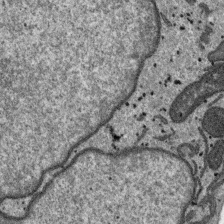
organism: Human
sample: Lung epithelial cells, uninfected (mock) control